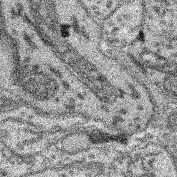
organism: Mouse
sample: Retina